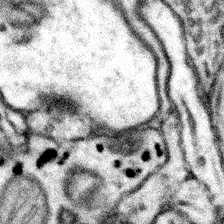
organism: Mouse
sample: Somatosensory cortex neuropil